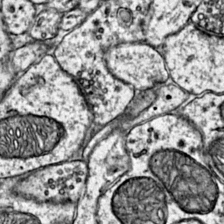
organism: Mouse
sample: Primary visual cortex